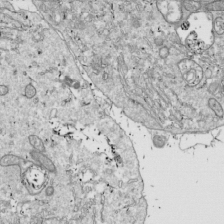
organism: Drosophila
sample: Cell division; meiosis; drosophila spermatocytes